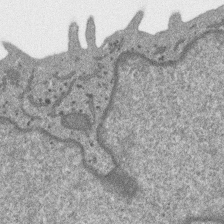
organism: Human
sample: Lung epithelial cells infected with SARS-CoV-2